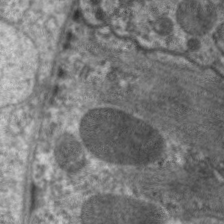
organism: C. elegans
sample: Pharynx